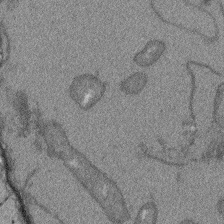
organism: Arabidopsis thaliana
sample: Root tip